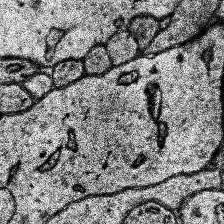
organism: Human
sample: Temporal Lobe